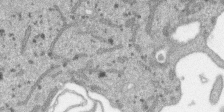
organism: Human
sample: Lung epithelial cells infected with SARS-CoV-2